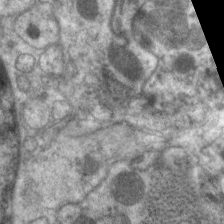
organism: C. elegans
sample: Pharynx